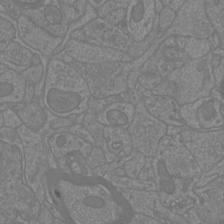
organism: Mouse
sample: Cortical neurons